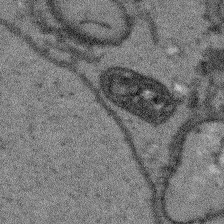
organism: Arabidopsis thaliana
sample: Root tip